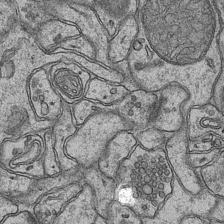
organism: Mouse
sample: CA1 Hippocampus